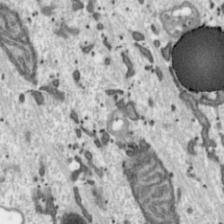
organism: Toxoplasma gondii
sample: Parasites in a vacuole inside a host cell